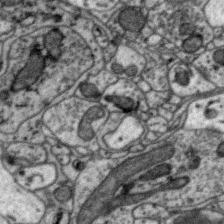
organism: Zebra finch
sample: Brain